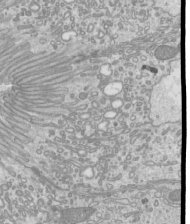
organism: Mouse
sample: Cilia; mouse epididymis